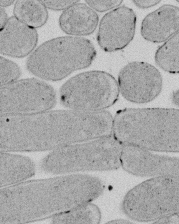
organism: E. coli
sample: Bacterial nucleoid